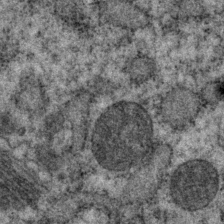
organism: P. pacificus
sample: Pharynx